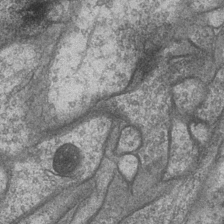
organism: Drosophila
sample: Optic medulla